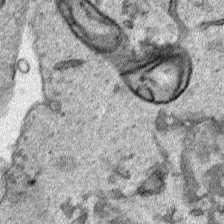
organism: Human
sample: Mitochondria in HCT116 cells